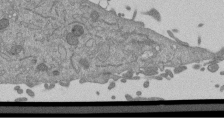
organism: Mouse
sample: ED-1 cell nuclei; centrioles